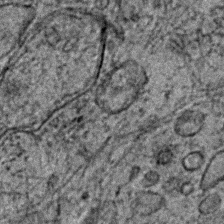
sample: Trachea